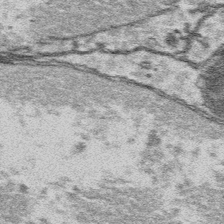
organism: Platynereis dumerilii